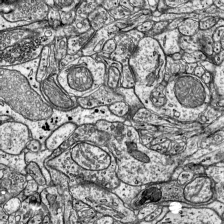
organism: Mouse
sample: Visual Cortex